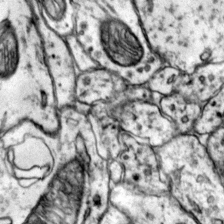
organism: Mouse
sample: Primary visual cortex